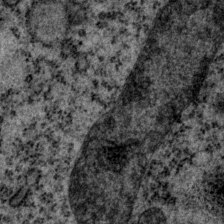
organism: P. pacificus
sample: Pharynx